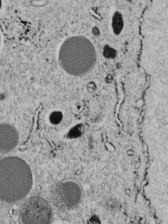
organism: C. elegans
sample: C. elegans embryo early stage